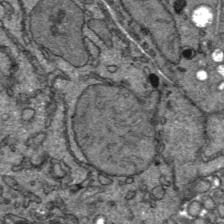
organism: C57BL Mouse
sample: Liver